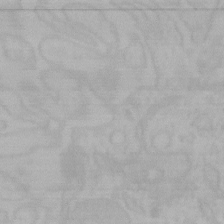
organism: Mouse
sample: Choroid plexus